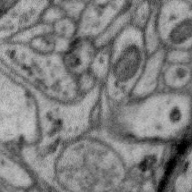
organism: Zebra finch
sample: Brain